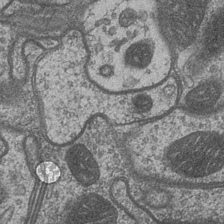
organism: Drosophila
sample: Optic medulla